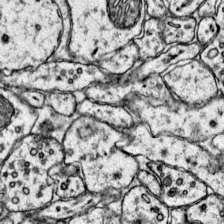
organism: Mouse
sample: Primary visual cortex